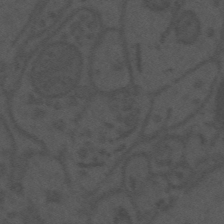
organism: Mouse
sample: Suprachiasmatic nucleus